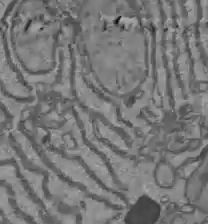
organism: C57BL Mouse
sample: Liver